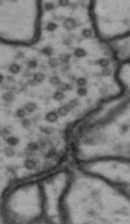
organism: Drosophila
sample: Brain